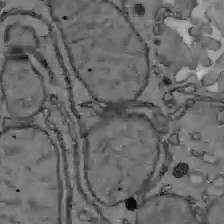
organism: C57BL Mouse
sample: Liver